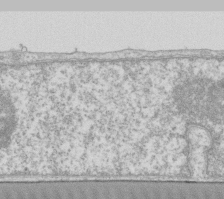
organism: Human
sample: Fibroblast cells